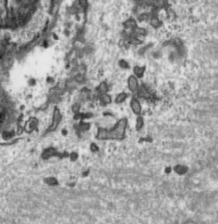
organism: Toxoplasma gondii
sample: Parasites in a vacuole inside a host cell